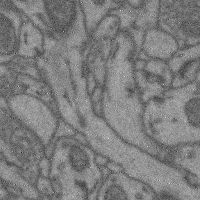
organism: Mouse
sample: Cerebral cortex